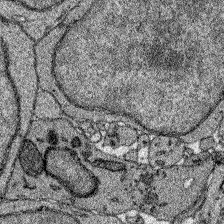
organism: Zebrafish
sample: Larval olfactory bulb